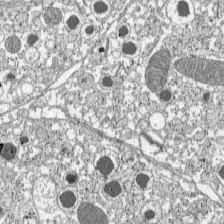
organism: C57BL Mouse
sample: Pancreatic islet